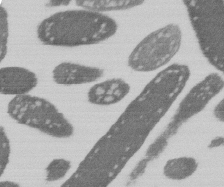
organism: E. coli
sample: Bacterial nucleoid